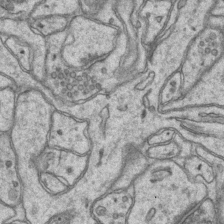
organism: Mouse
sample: CA1 Hippocampus